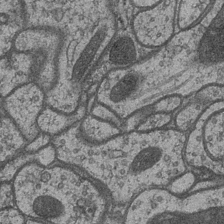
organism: Drosophila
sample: Optic medulla